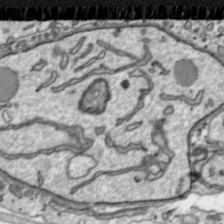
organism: Toxoplasma gondii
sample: Parasites in a vacuole inside a host cell